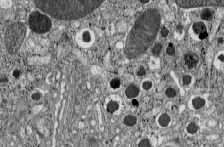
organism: C57BL Mouse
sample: Pancreatic islet